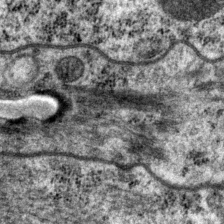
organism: P. pacificus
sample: Pharynx